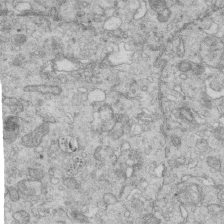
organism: Mouse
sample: Multiciliated cells